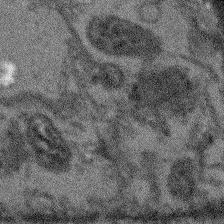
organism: Arabidopsis thaliana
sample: Root tip